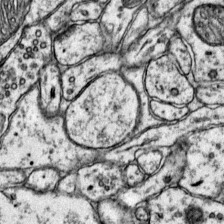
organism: Mouse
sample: Primary visual cortex